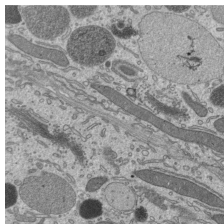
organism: Mouse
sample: Mouse epididymis efferent ductule cilia